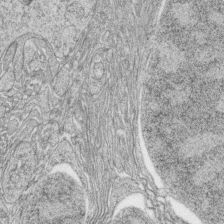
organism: Zebrafish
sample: synaptic ribbons in rod cells and cone cells